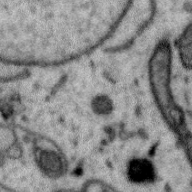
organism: Zebra finch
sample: Brain